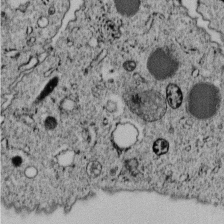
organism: C. elegans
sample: C. elegans embryo early stage